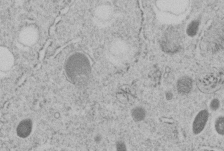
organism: C. elegans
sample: C. elegans embryo early stage